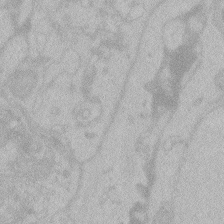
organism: Zebrafish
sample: Macrophage infected with Toxoplasma gondii